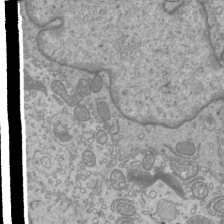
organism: Mouse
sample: Cilia; mouse epididymis